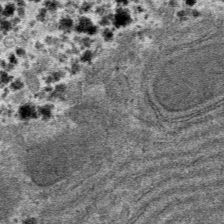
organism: Mouse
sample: Mouse hepatocytes